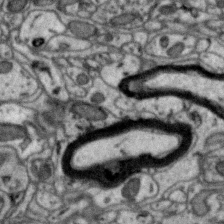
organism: Zebra finch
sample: Brain